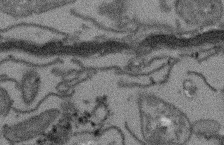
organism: Arabidopsis thaliana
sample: Root tip